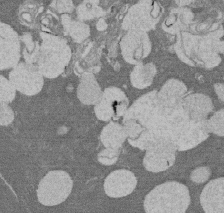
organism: Rat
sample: Salivary granule